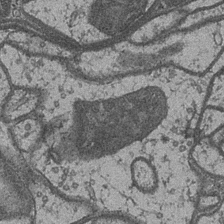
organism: Drosophila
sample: Optic medulla